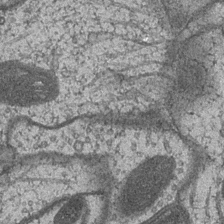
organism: Drosophila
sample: Optic medulla